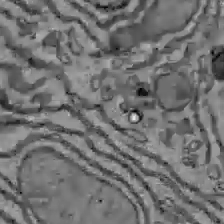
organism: C57BL Mouse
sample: Liver